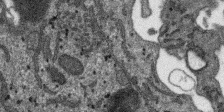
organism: Human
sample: Lung epithelial cells infected with SARS-CoV-2